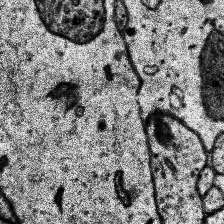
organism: Human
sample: Temporal Lobe